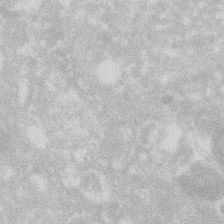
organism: Zebrafish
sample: Macrophage